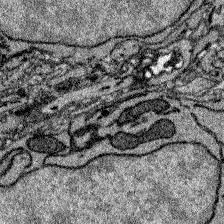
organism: Zebrafish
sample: Larval olfactory bulb